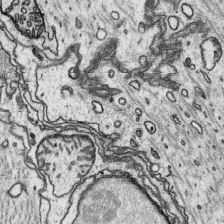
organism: Platynereis dumerilii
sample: Parapodia